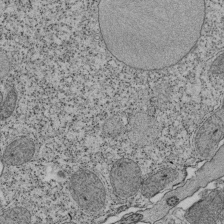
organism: Tetrahymena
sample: Cilia in tetrahymena